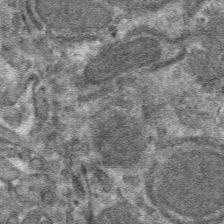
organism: Mouse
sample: Mouse hepatocytes